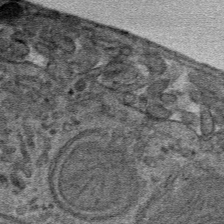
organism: Mouse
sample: Mouse hepatocytes